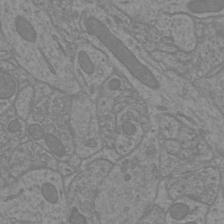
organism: Mouse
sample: Cortical neurons